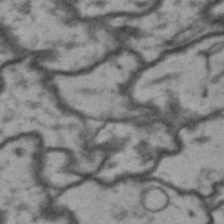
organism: Drosophila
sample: Brain